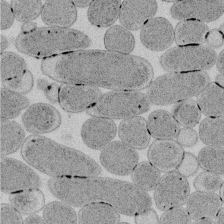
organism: E. coli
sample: Bacterial nucleoid